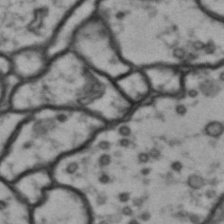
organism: Drosophila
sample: Brain